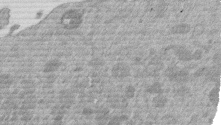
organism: Mouse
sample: Dividing mouse embryo 1 cell stage